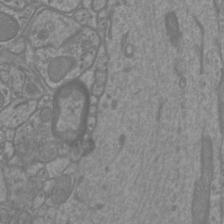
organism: Mouse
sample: Cortical neurons